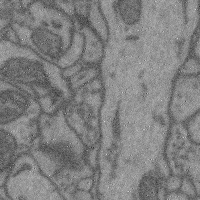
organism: Mouse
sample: Cerebral cortex